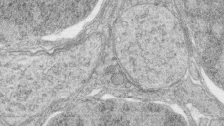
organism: Zebrafish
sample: synaptic ribbons in rod cells and cone cells